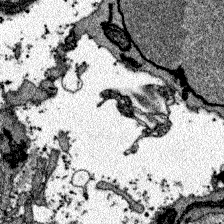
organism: Zebrafish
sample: Larval olfactory bulb